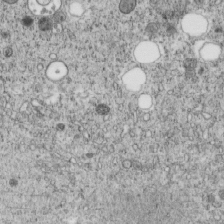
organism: C. elegans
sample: C. elegans embryo early stage